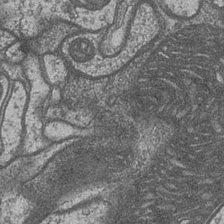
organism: Drosophila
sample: Optic medulla